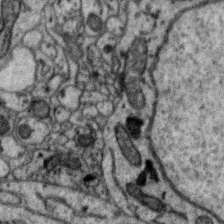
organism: Zebra finch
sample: Brain